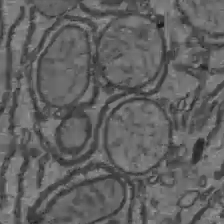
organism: C57BL Mouse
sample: Liver